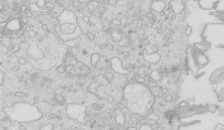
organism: Mouse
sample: Multiciliated cells